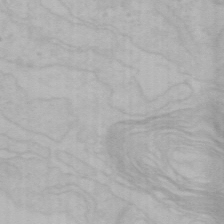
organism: Mouse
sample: Choroid plexus